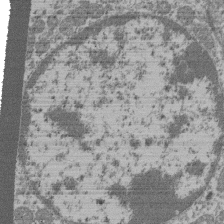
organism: Mouse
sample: Glomerulus